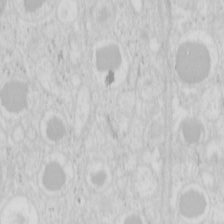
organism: Mouse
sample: Pancreas